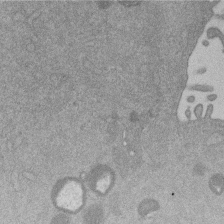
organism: Mouse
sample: Dividing mouse embryo 1 cell stage